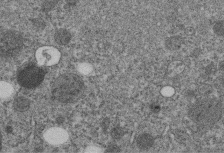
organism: C. elegans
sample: C. elegans embryo early stage